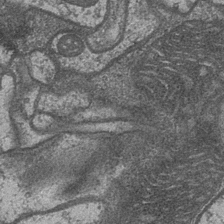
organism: Drosophila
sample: Optic medulla